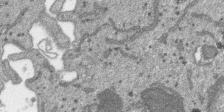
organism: Human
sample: Lung epithelial cells infected with SARS-CoV-2